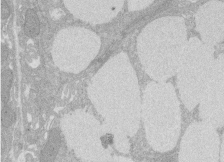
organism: Rat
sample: Salivary granule